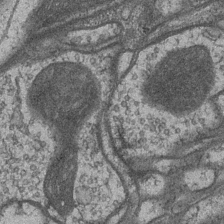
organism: Drosophila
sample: Optic medulla